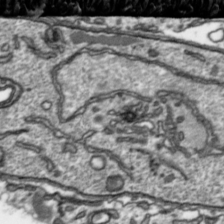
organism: Toxoplasma gondii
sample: Parasites in a vacuole inside a host cell